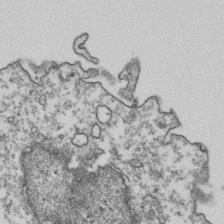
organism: Human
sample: Activated Jurkat CD4+ T cells